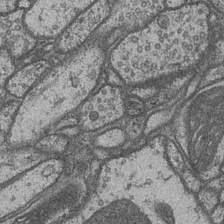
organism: Drosophila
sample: Optic medulla